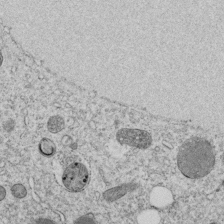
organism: C. elegans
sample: C. elegans embryo early stage